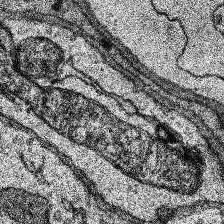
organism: Human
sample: Temporal Lobe